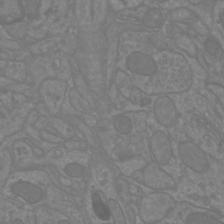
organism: Mouse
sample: Cortical neurons